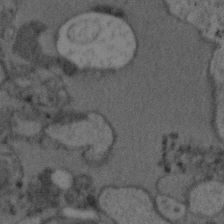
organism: Human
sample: HeLa cells